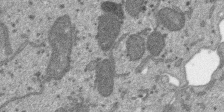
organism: Human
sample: Lung epithelial cells infected with SARS-CoV-2